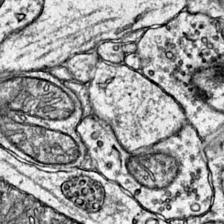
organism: Mouse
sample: Primary visual cortex